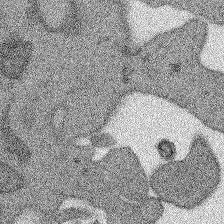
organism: Human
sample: HeLa cells